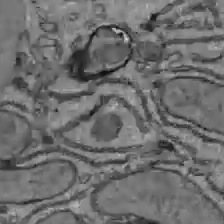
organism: C57BL Mouse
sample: Liver